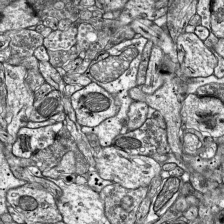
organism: Mouse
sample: Visual Cortex